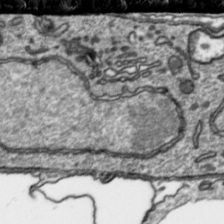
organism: Toxoplasma gondii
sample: Parasites in a vacuole inside a host cell